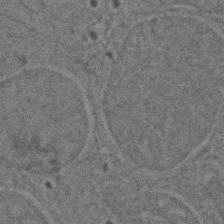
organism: Zebrafish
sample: Zebrafish embryo